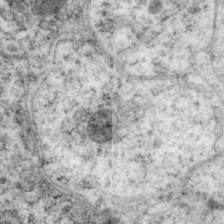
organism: P. pacificus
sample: Pharynx